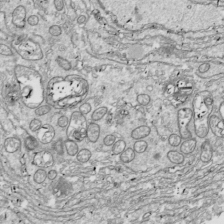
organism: Drosophila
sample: Cell division; meiosis; drosophila spermatocytes